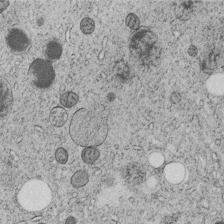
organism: C. elegans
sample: C. elegans embryo early stage